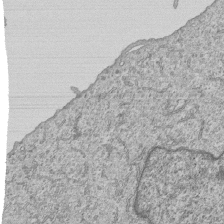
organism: Human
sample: MDA-MB-231 cells